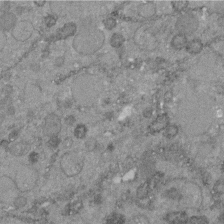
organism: C. elegans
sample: C. elegans embryo early stage